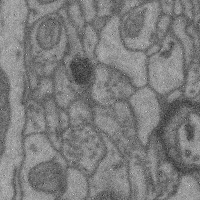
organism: Mouse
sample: Cerebral cortex